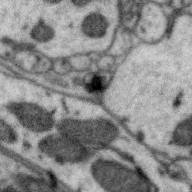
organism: Zebra finch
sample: Brain